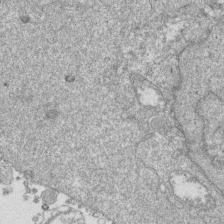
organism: Human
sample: HeLa cell HIV synapse